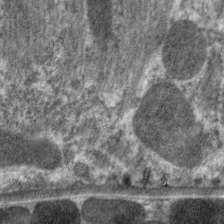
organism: C. elegans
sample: Pharynx